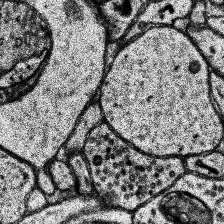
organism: Human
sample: Temporal Lobe